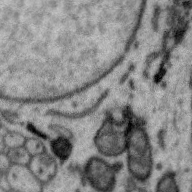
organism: Zebra finch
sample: Brain